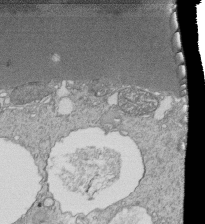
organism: Tetrahymena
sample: Cilia in tetrahymena